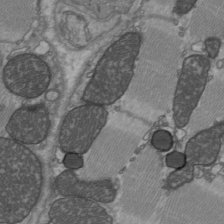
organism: C57BL Mouse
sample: Heart